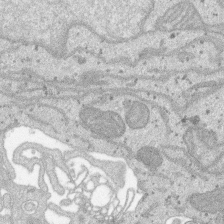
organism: Human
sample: Lung epithelial cells infected with SARS-CoV-2